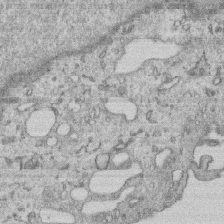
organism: Human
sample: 1205lu cells